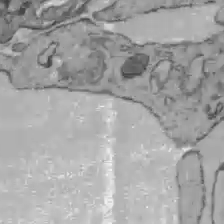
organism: C57BL Mouse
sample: Liver